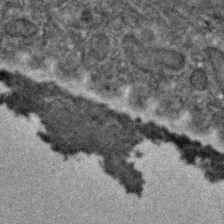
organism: C. elegans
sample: C. elegans embryo